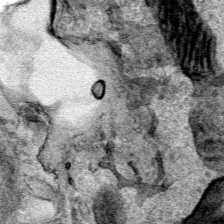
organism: Human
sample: Mitochondria in HCT116 cells